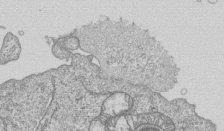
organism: Human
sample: MDA-MB-231 cells